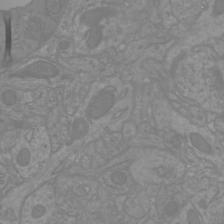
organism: Mouse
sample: Cortical neurons